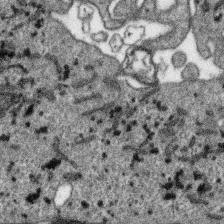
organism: Human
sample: Lung epithelial cells infected with SARS-CoV-2